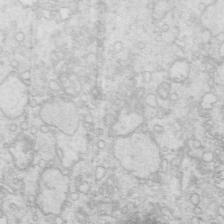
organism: Mouse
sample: Multiciliated cells